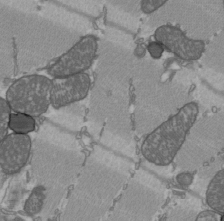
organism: C57BL Mouse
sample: Heart